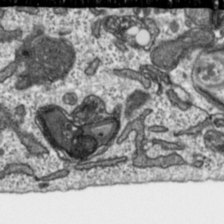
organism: Toxoplasma gondii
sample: Parasites in a vacuole inside a host cell